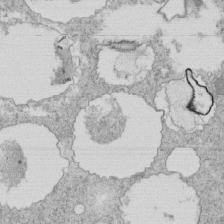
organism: Tetrahymena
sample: Cilia in tetrahymena